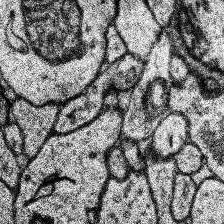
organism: Human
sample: Temporal Lobe